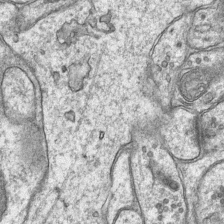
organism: Mouse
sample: CA1 Hippocampus